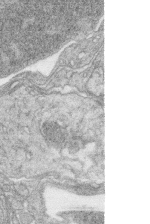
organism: Zebrafish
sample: synaptic ribbons in rod cells and cone cells